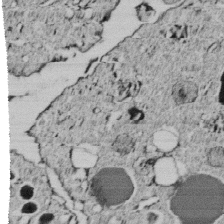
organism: C. elegans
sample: C. elegans embryo early stage